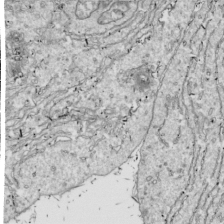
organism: Drosophila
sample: Cell division; meiosis; drosophila spermatocytes